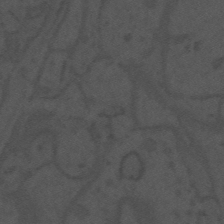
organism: Mouse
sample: Suprachiasmatic nucleus